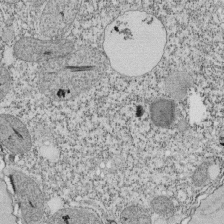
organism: Tetrahymena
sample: Cilia in tetrahymena